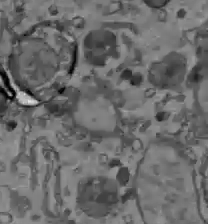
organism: C57BL Mouse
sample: Liver